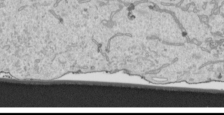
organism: Human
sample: Mitochondria in HCT116 cells